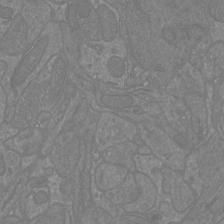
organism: Mouse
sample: Cortical neurons